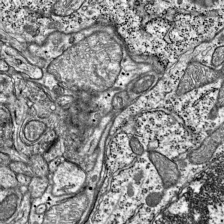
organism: Mouse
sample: Visual Cortex